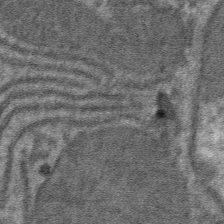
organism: Mouse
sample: Mouse hepatocytes